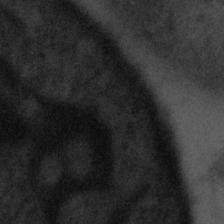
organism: Tuwongella immobilis